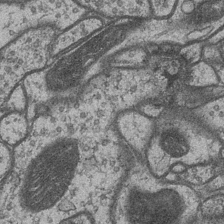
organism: Drosophila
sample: Optic medulla